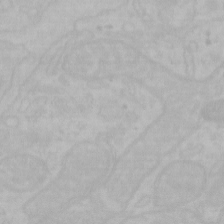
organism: Mouse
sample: Choroid plexus